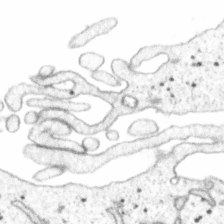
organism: Human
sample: HeLa cells